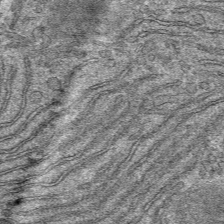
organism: Mouse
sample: Mouse hepatocytes